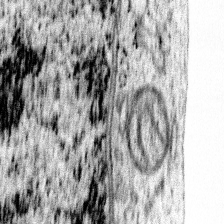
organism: Human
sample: HeLa cells